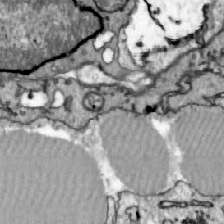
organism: Zebrafish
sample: Actinotrichia fibers